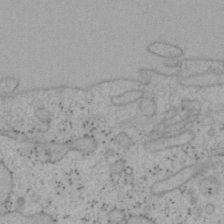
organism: Human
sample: HeLa cells